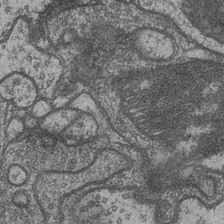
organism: Drosophila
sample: Optic medulla